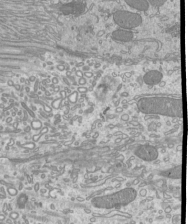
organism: Mouse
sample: Cilia; mouse epididymis